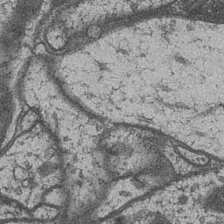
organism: Drosophila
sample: Optic medulla